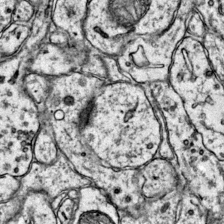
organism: Mouse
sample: Primary visual cortex